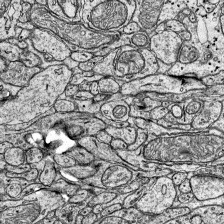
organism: Mouse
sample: Visual Cortex